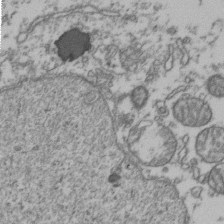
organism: Human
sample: Activated Jurkat CD4+ T cells